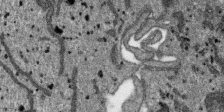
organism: Human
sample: Lung epithelial cells, uninfected (mock) control